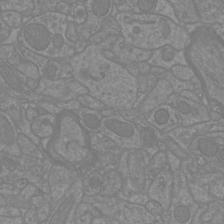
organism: Mouse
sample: Cortical neurons